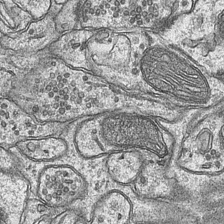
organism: Mouse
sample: CA1 Hippocampus